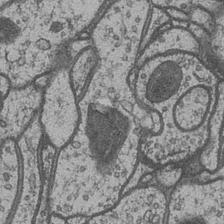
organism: Drosophila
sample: Optic medulla